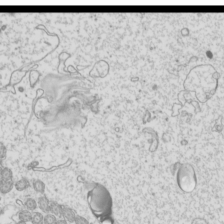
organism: Mouse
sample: Cilia; mouse epididymis